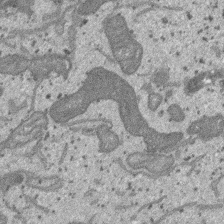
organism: Human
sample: Lung epithelial cells infected with SARS-CoV-2